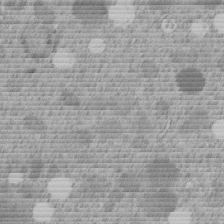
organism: C. elegans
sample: C. elegans embryo early stage